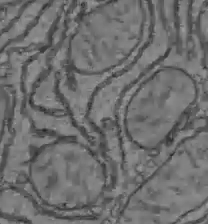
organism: C57BL Mouse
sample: Liver